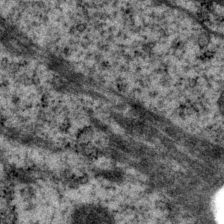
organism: P. pacificus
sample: Pharynx